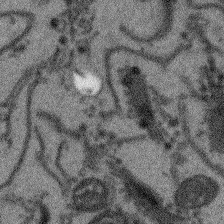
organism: Arabidopsis thaliana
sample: Root tip